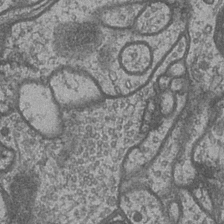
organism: Drosophila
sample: Optic medulla